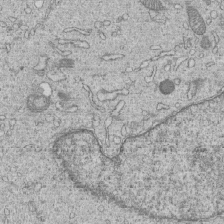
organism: Human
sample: MDA-MB-231 cells